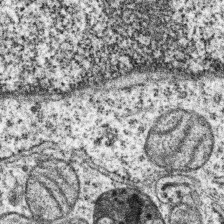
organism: Human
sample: HeLa cells